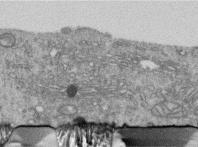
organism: Human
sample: Centriole in RPE cells